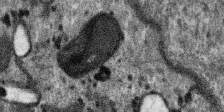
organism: Human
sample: Lung epithelial cells infected with SARS-CoV-2